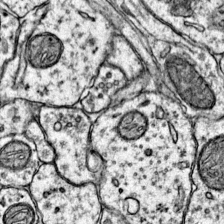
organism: Mouse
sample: Primary visual cortex